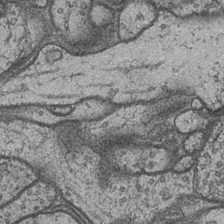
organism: Drosophila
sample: Optic medulla